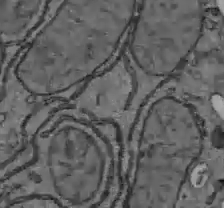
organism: C57BL Mouse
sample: Liver